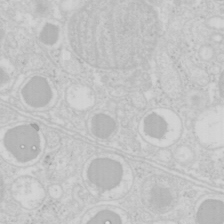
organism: Mouse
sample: Pancreas